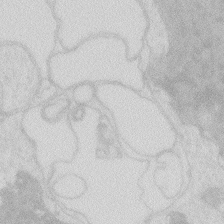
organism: Zebrafish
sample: Macrophage